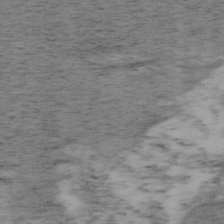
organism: Mouse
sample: OT-I killer T cells with ID8 ovarian cancer cells